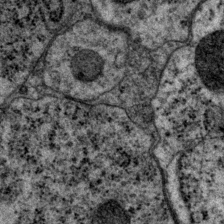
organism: P. pacificus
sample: Pharynx